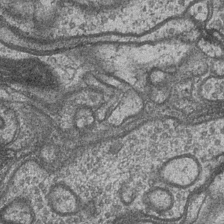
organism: Drosophila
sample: Optic medulla